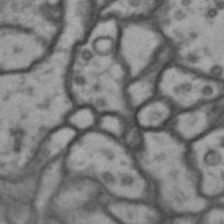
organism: Drosophila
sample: Brain